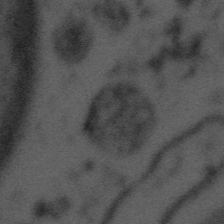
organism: Tuwongella immobilis